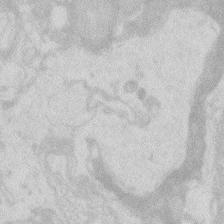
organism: Zebrafish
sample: Macrophage